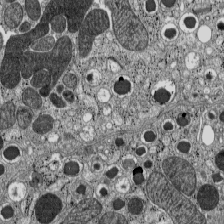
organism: C57BL Mouse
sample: Pancreatic islet